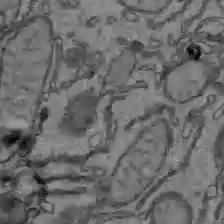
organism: C57BL Mouse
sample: Liver